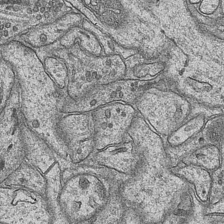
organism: Mouse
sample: CA1 Hippocampus